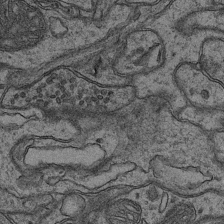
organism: Mouse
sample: CA1 Hippocampus